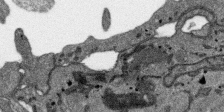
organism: Human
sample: Lung epithelial cells, uninfected (mock) control